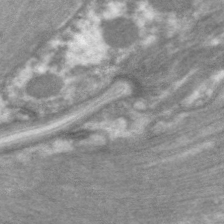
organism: C. elegans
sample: Pharynx